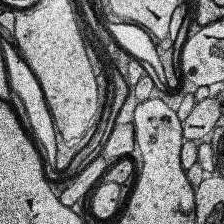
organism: Human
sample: Temporal Lobe